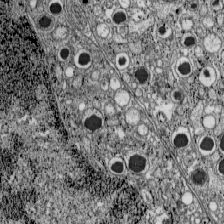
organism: C57BL Mouse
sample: Pancreatic islet